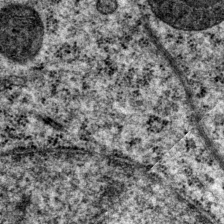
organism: P. pacificus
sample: Pharynx